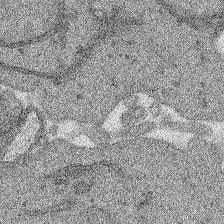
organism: Human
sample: HeLa cells